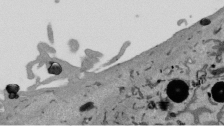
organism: Mouse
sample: ED-1 cell nuclei; centrioles